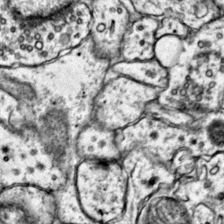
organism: Mouse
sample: Primary visual cortex